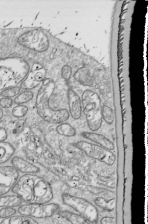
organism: Drosophila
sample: Cell division; meiosis; drosophila spermatocytes